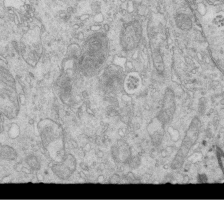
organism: Mouse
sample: Multiciliated cells